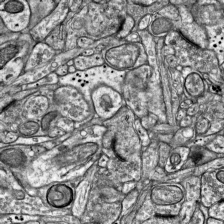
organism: Mouse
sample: Visual Cortex